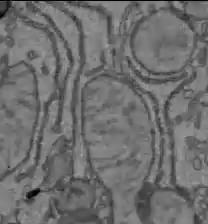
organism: C57BL Mouse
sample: Liver